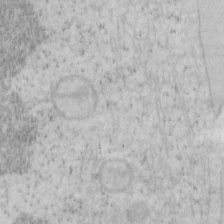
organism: Human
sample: HeLa cells